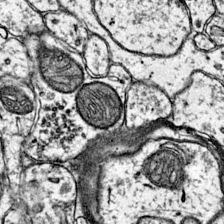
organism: Mouse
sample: Primary visual cortex